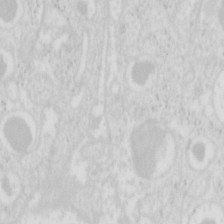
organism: Mouse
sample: Pancreas